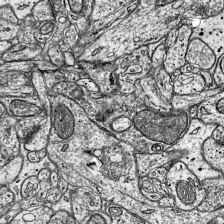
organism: Mouse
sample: Visual Cortex